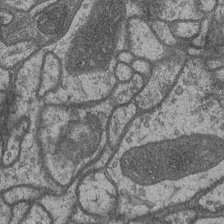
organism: Drosophila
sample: Optic medulla